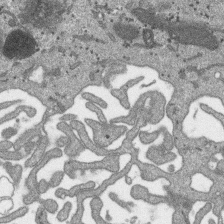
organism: Human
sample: Lung epithelial cells infected with SARS-CoV-2